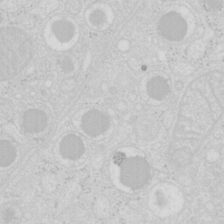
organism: Mouse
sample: Pancreas